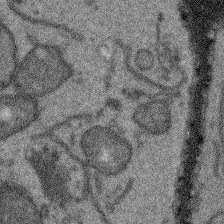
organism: Arabidopsis thaliana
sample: Root tip